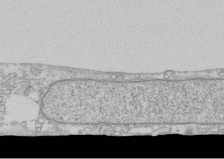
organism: Human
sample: CRL-1474